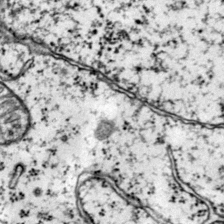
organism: Mouse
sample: Primary visual cortex